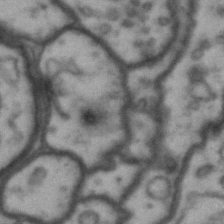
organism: Drosophila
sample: Brain